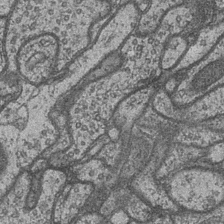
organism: Drosophila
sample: Optic medulla